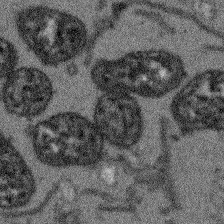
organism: Arabidopsis thaliana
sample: Root tip